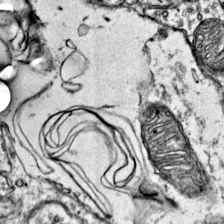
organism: Mouse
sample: Primary visual cortex